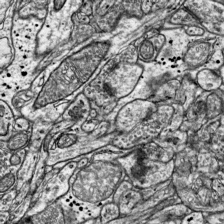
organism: Mouse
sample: Visual Cortex